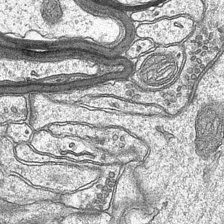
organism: Mouse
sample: CA1 Hippocampus